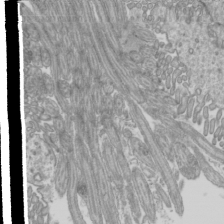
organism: Mouse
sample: Cilia; mouse epididymis